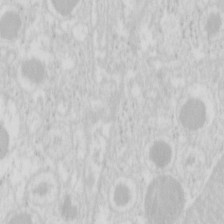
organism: Mouse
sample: Pancreas